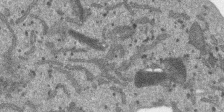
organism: Human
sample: Lung epithelial cells infected with SARS-CoV-2